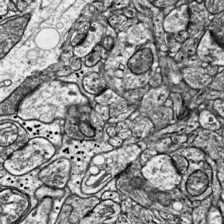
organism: Mouse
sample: Visual Cortex